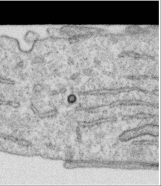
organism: Human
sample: Centriole in RPE cells